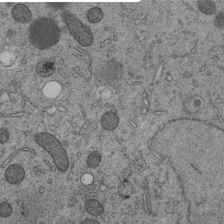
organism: C. elegans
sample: C. elegans embryo early stage